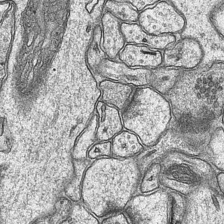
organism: Mouse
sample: CA1 Hippocampus